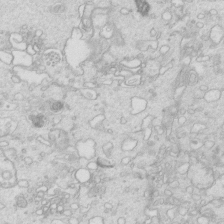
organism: Mouse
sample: Multiciliated cells